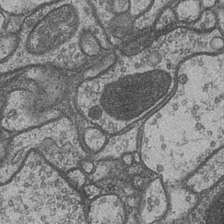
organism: Drosophila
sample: Optic medulla